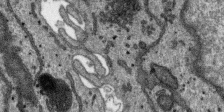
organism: Human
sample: Lung epithelial cells, uninfected (mock) control